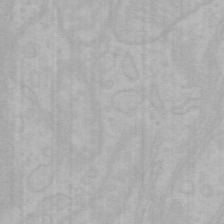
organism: Mouse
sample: Choroid plexus